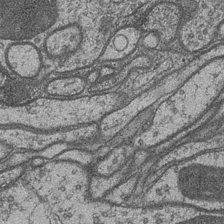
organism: Drosophila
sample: Optic medulla